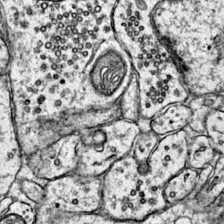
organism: Mouse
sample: Primary visual cortex